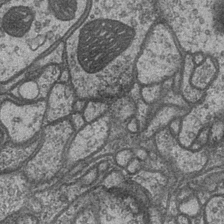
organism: Drosophila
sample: Optic medulla